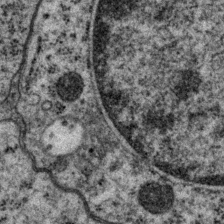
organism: P. pacificus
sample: Pharynx